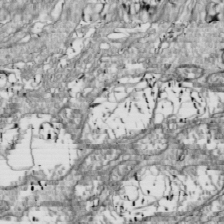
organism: Drosophila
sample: Cell division; meiosis; drosophila spermatocytes